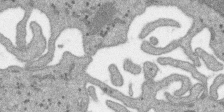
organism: Human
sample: Lung epithelial cells infected with SARS-CoV-2